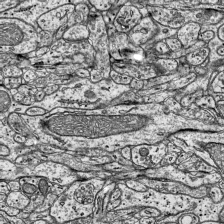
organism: Mouse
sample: Visual Cortex